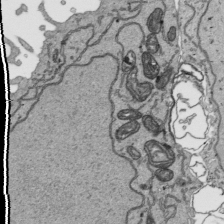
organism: Human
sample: Mitochondria in HCT116 cells